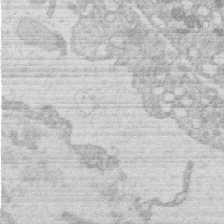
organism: Human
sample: Macrophage cells